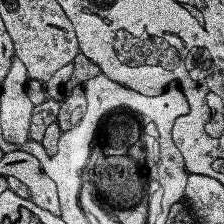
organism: Human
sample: Temporal Lobe